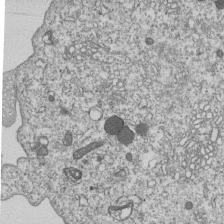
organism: Human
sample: MDA-MB-231 cells